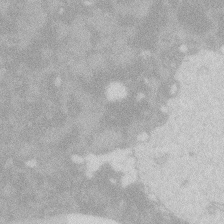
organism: Zebrafish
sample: Macrophage